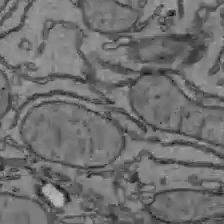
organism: C57BL Mouse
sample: Liver